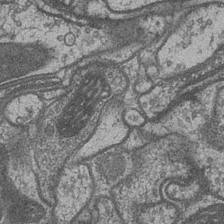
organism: Drosophila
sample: Optic medulla